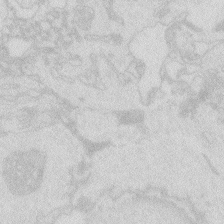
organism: Zebrafish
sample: Macrophage